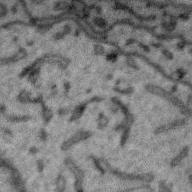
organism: Zebra finch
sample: Brain